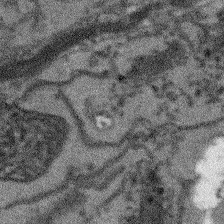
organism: Arabidopsis thaliana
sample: Root tip